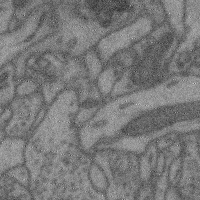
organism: Mouse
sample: Cerebral cortex